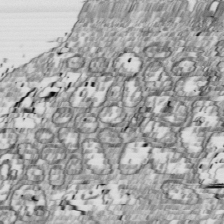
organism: Drosophila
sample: Cell division; meiosis; drosophila spermatocytes